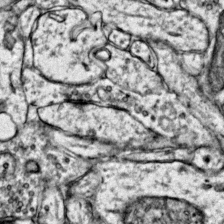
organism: Mouse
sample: Primary visual cortex